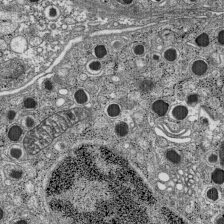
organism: C57BL Mouse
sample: Pancreatic islet